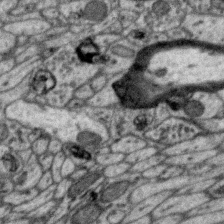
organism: Zebra finch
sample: Brain